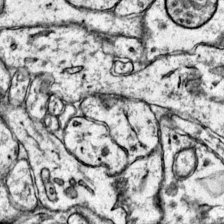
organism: Mouse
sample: Primary visual cortex